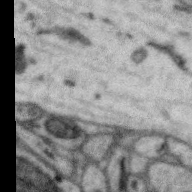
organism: Zebra finch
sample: Brain